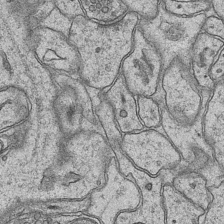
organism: Mouse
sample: CA1 Hippocampus